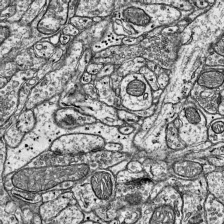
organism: Mouse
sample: Visual Cortex